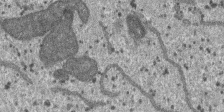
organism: Human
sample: Lung epithelial cells infected with SARS-CoV-2